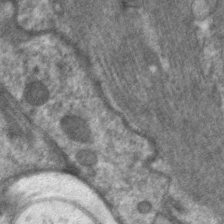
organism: C. elegans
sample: Pharynx